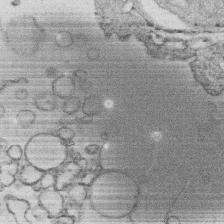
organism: Human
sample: Macrophage cells